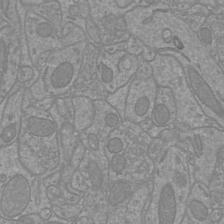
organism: Mouse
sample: Cortical neurons